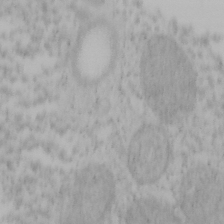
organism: Mouse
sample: OT-I killer T cells with ID8 ovarian cancer cells